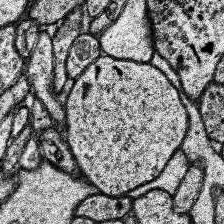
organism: Human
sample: Temporal Lobe